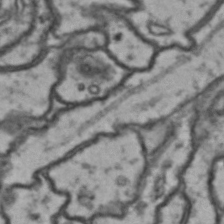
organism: Drosophila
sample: Brain